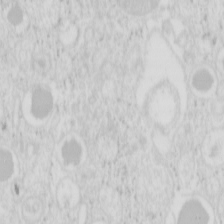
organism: Mouse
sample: Pancreas